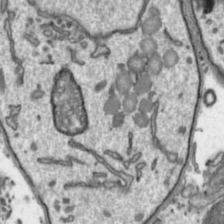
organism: Toxoplasma gondii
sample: Parasites in a vacuole inside a host cell